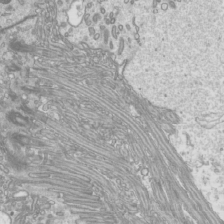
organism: Mouse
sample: Cilia; mouse epididymis